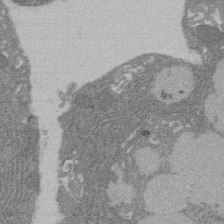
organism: Rat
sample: Salivary granule